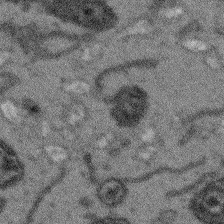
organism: Arabidopsis thaliana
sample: Root tip